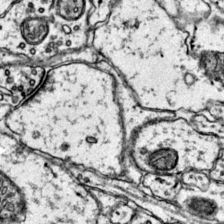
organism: Mouse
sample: Primary visual cortex